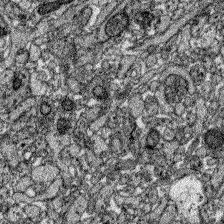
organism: Zebrafish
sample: Larval olfactory bulb